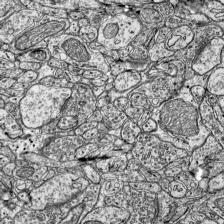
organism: Mouse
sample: Visual Cortex